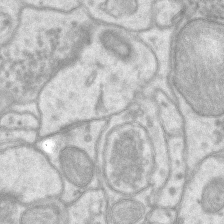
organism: Mouse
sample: CA1 Hippocampus